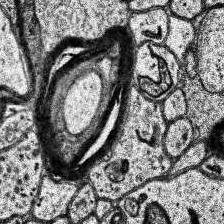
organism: Human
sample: Temporal Lobe